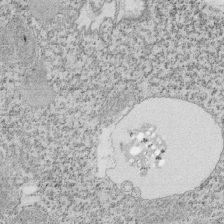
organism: Tetrahymena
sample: Cilia in tetrahymena